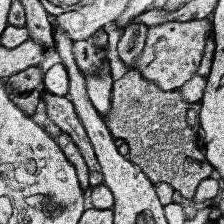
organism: Human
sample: Temporal Lobe